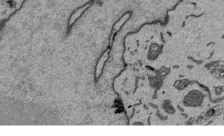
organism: Mouse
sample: ED-1 cell nuclei; centrioles